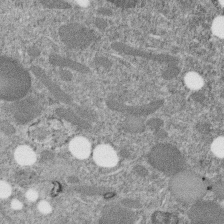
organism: C. elegans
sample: C. elegans embryo early stage